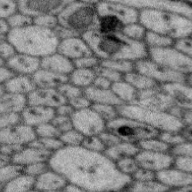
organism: Zebra finch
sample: Brain